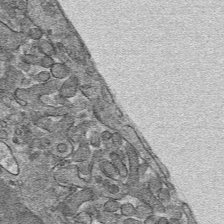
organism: Mouse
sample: Mouse hepatocytes